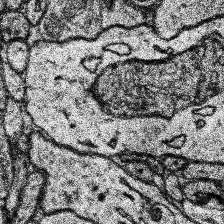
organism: Human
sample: Temporal Lobe